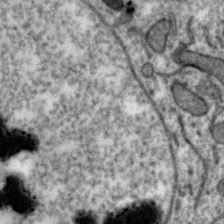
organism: Zebra finch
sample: Brain